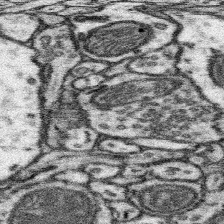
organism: Mouse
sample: Somatosensory cortex neuropil